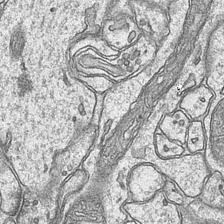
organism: Mouse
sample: CA1 Hippocampus